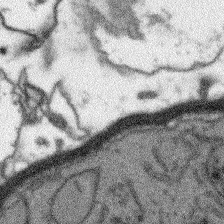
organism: Arabidopsis thaliana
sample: Root tip